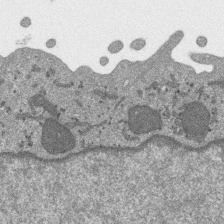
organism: Human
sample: Lung epithelial cells infected with SARS-CoV-2